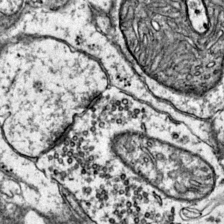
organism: Mouse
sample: Primary visual cortex